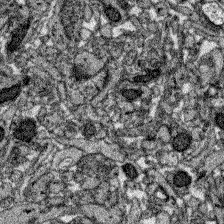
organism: Zebrafish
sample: Larval olfactory bulb